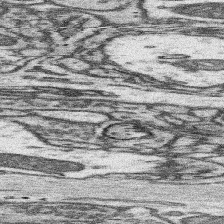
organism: Mouse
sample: Somatosensory cortex neuropil